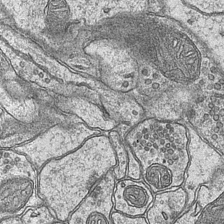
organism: Mouse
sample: CA1 Hippocampus